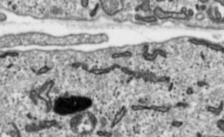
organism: Toxoplasma gondii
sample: Parasites in a vacuole inside a host cell